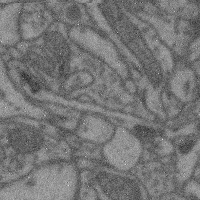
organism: Mouse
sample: Cerebral cortex